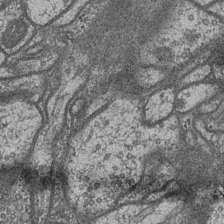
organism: Drosophila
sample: Optic medulla